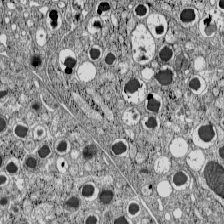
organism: C57BL Mouse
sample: Pancreatic islet